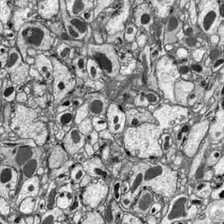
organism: Drosophila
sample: Optic lobe